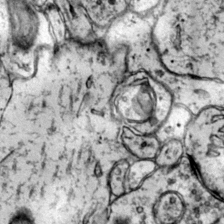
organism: Mouse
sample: Primary visual cortex